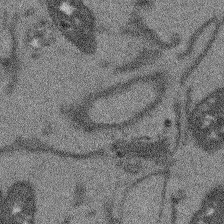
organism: Arabidopsis thaliana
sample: Root tip